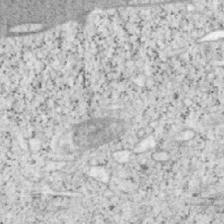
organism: Mouse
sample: OT-I killer T cells with ID8 ovarian cancer cells